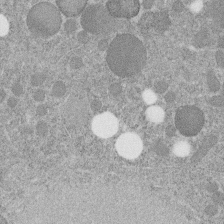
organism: C. elegans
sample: C. elegans embryo early stage